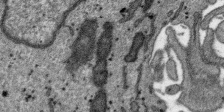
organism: Human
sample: Lung epithelial cells, uninfected (mock) control